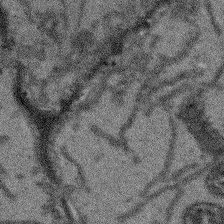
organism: Arabidopsis thaliana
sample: Root tip